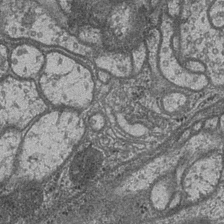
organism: Drosophila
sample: Optic medulla